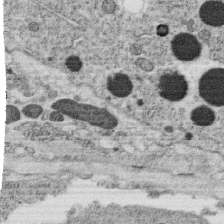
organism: C. elegans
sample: C. elegans oocyte; sperm cells